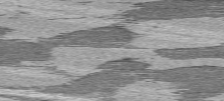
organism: C57BL Mouse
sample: Heart